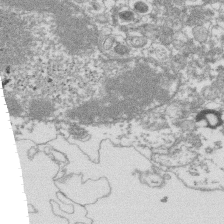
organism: Human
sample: HeLa cell HIV synapse